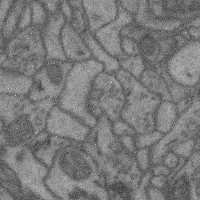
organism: Mouse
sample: Cerebral cortex